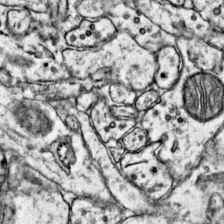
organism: Mouse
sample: Primary visual cortex